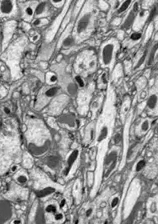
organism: Drosophila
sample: Optic lobe